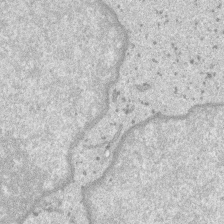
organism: Human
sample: Lung epithelial cells infected with SARS-CoV-2